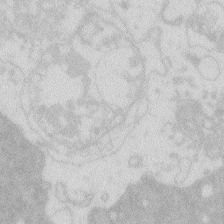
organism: Zebrafish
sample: Macrophage